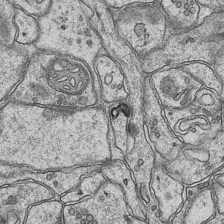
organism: Mouse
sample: CA1 Hippocampus